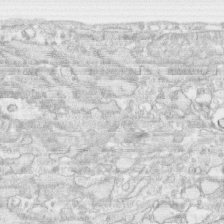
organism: Human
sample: CRL-1474